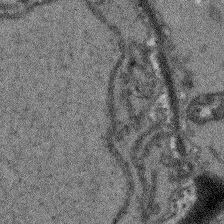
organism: Arabidopsis thaliana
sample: Root tip